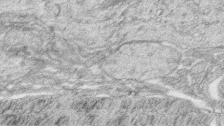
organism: Zebrafish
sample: synaptic ribbons in rod cells and cone cells